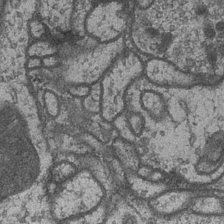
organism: Drosophila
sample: Optic medulla